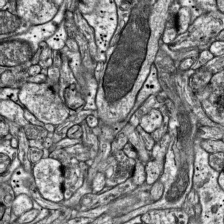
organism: Mouse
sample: Visual Cortex